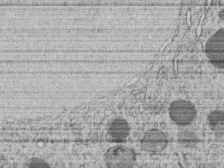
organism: C. elegans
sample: C. elegans embryo early stage